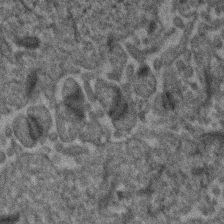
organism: Human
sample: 1205lu cells